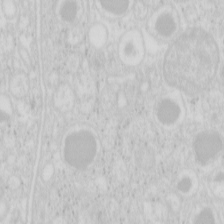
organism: Mouse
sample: Pancreas